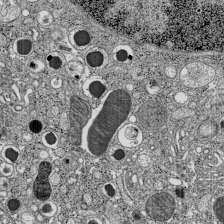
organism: C57BL Mouse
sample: Pancreatic islet